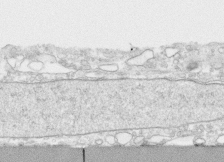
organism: Human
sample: CRL-1474